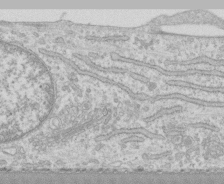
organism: Human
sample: CRL-1474